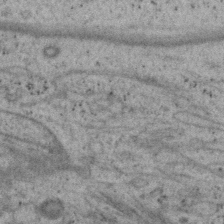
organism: Human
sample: HeLa cells